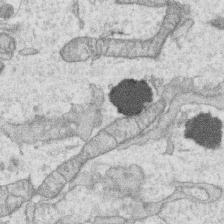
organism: Human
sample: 1205lu cells